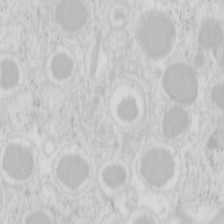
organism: Mouse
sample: Pancreas